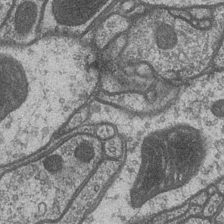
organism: Drosophila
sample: Optic medulla